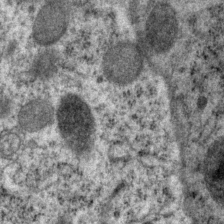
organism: P. pacificus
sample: Pharynx